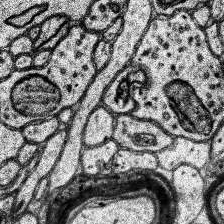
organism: Human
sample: Temporal Lobe